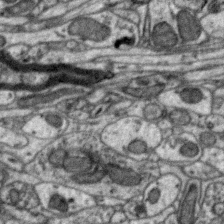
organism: Zebra finch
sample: Brain